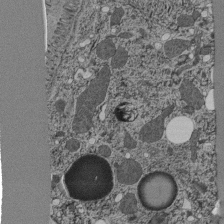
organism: C. elegans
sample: C. elegans pharynx